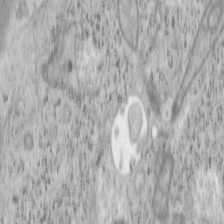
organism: Human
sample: HeLa cells